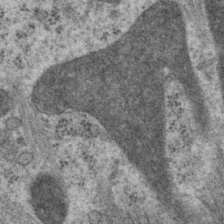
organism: P. pacificus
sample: Pharynx